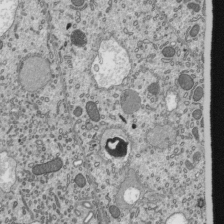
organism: Mouse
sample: Mouse epididymis efferent ductule cilia